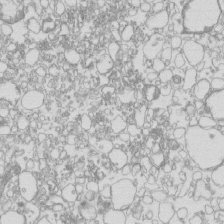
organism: Mouse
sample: Macrophages